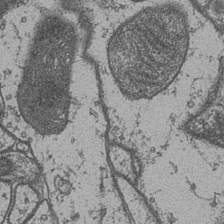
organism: Drosophila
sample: Optic medulla